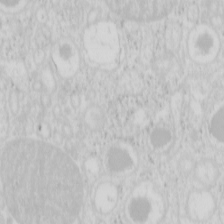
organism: Mouse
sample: Pancreas